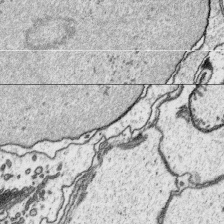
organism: Platynereis dumerilii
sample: Parapodia